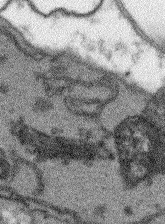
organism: Arabidopsis thaliana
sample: Root tip